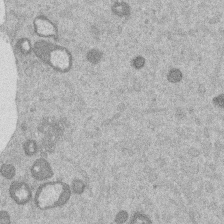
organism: Mouse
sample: Dividing mouse embryo 1 cell stage